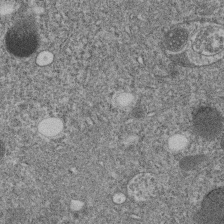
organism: C. elegans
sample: C. elegans embryo early stage